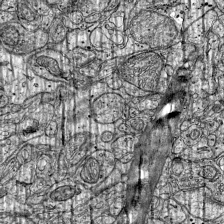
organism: Mouse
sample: Visual Cortex